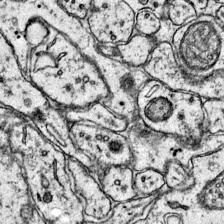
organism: Mouse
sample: Primary visual cortex